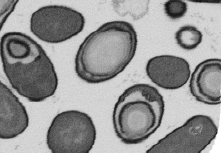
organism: B. subtilis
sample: Bacterial spore